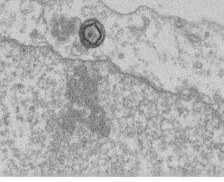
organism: Mouse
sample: T cell stromal cell synapse